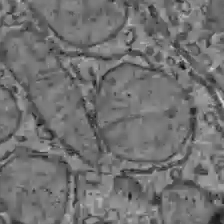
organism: C57BL Mouse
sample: Liver